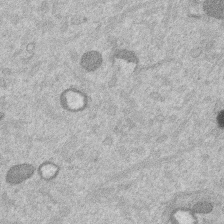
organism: Mouse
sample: Dividing mouse embryo 1 cell stage